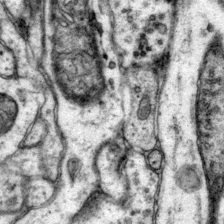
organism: Mouse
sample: Primary visual cortex